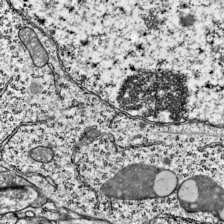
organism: Mouse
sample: Visual Cortex